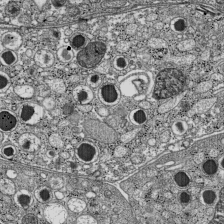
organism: C57BL Mouse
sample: Pancreatic islet